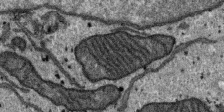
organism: Human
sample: Lung epithelial cells, uninfected (mock) control